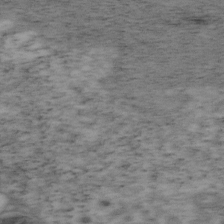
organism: Mouse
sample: OT-I killer T cells with ID8 ovarian cancer cells